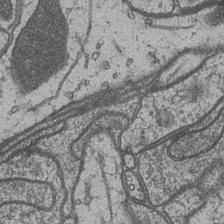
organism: Drosophila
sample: Optic medulla